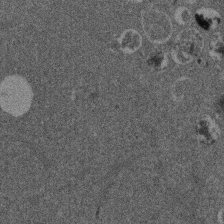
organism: Mouse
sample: Dividing mouse embryo 1 cell stage